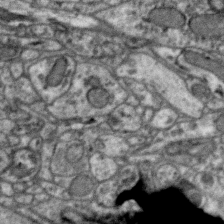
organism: Zebra finch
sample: Brain